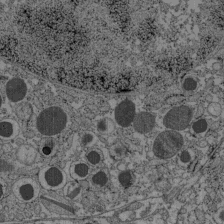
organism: C57BL Mouse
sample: Pancreatic islet